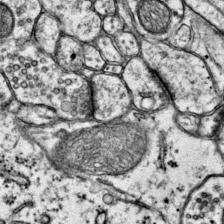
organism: Mouse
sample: Primary visual cortex